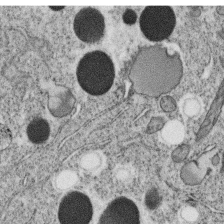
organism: C. elegans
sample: C. elegans oocyte; sperm cells